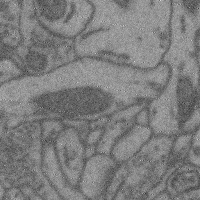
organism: Mouse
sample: Cerebral cortex